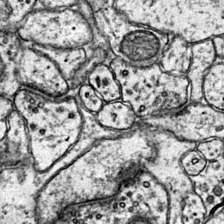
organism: Mouse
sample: Primary visual cortex